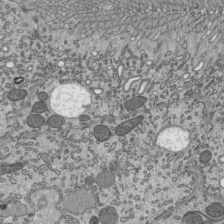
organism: Mouse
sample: Mouse epididymis efferent ductule cilia